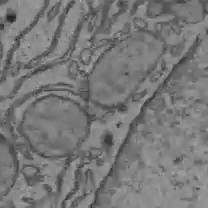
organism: C57BL Mouse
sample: Liver